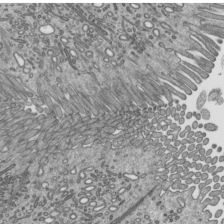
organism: Mouse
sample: Mouse epididymis efferent ductule cilia